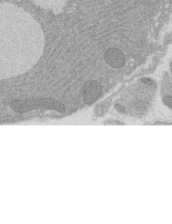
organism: Rat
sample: Salivary granule